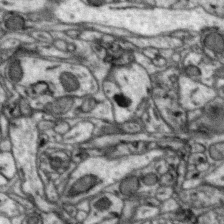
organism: Zebra finch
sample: Brain